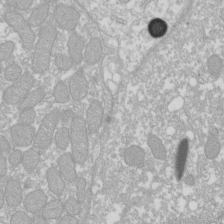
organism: Xenopus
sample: Cilia; centrioles in frog embryo cells